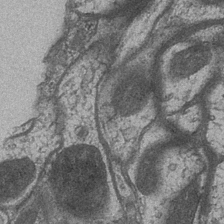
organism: Drosophila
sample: Optic medulla